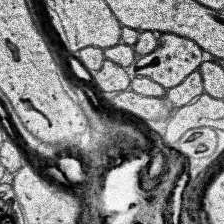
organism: Human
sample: Temporal Lobe